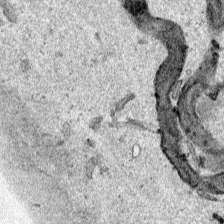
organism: Human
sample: Mitochondria in HCT116 cells